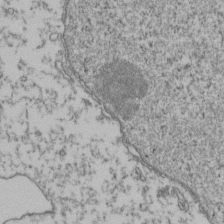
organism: Human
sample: Activated Jurkat CD4+ T cells